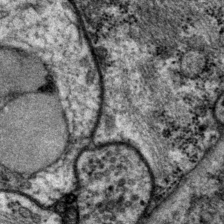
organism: P. pacificus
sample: Pharynx